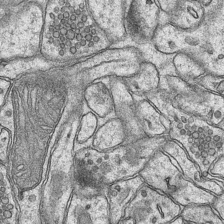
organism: Mouse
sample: CA1 Hippocampus